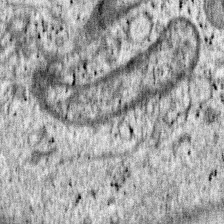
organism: Human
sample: HeLa cells